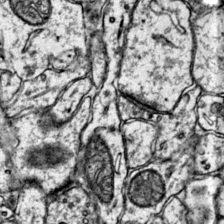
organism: Mouse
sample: Primary visual cortex